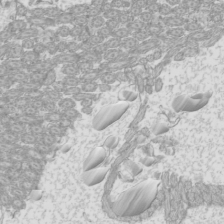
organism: Mouse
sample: Cilia; mouse epididymis